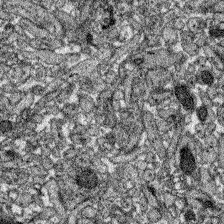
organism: Zebrafish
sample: Larval olfactory bulb